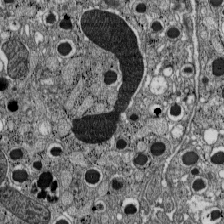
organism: C57BL Mouse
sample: Pancreatic islet